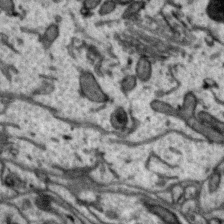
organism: Zebra finch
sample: Brain